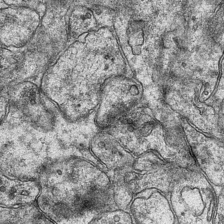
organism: Mouse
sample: CA1 Hippocampus